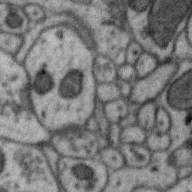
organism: Zebra finch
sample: Brain